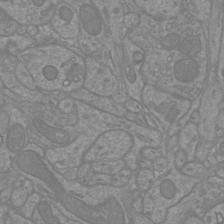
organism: Mouse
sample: Cortical neurons